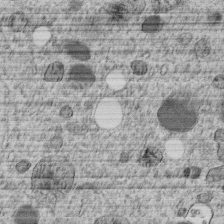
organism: C. elegans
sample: C. elegans embryo early stage